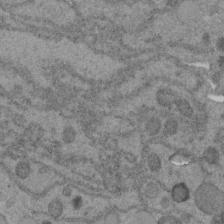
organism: C. elegans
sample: C. elegans embryo early stage